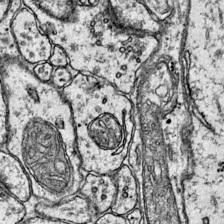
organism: Mouse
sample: Primary visual cortex